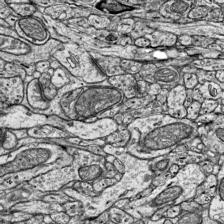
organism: Mouse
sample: Visual Cortex